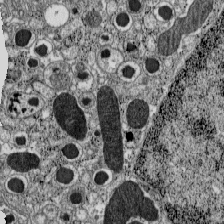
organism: C57BL Mouse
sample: Pancreatic islet